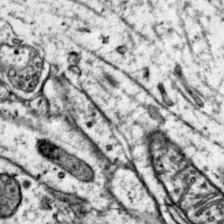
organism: Mouse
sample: Primary visual cortex